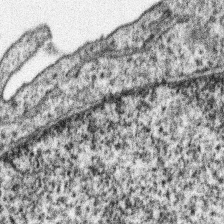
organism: Human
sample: HeLa cells